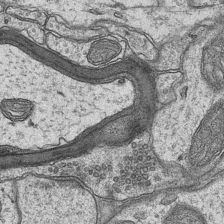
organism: Mouse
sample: CA1 Hippocampus